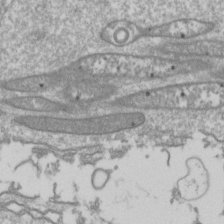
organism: Drosophila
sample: Cell division; meiosis; drosophila spermatocytes